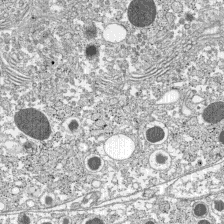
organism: C57BL Mouse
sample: Pancreatic islet